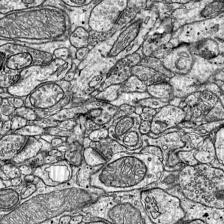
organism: Mouse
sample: Visual Cortex